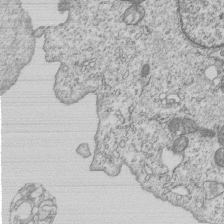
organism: Human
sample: MDA-MB-231 cells